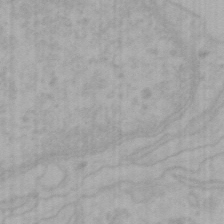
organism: Mouse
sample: Choroid plexus